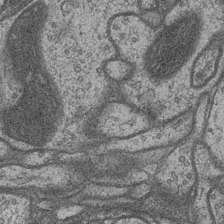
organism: Drosophila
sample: Optic medulla